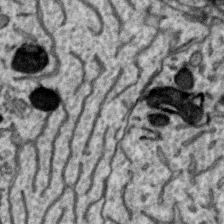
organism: Zebra finch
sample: Brain